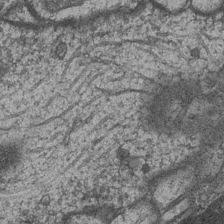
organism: Drosophila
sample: Optic medulla